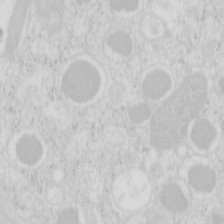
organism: Mouse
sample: Pancreas